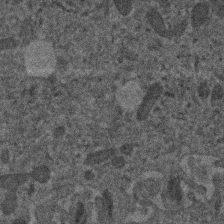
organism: Human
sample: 1205lu cells